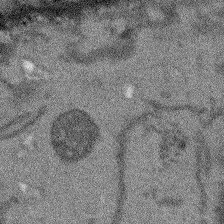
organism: Arabidopsis thaliana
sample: Root tip